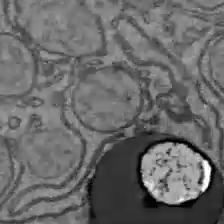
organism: C57BL Mouse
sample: Liver